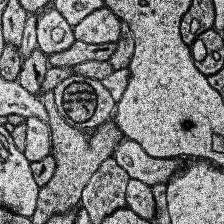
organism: Human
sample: Temporal Lobe